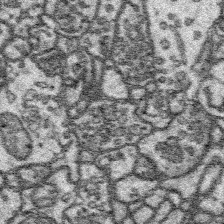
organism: Platynereis dumerilii